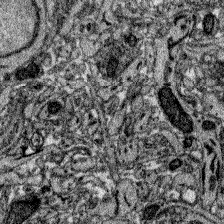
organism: Zebrafish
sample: Larval olfactory bulb